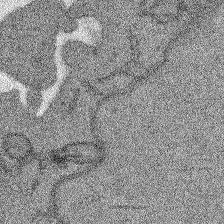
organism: Human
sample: HeLa cells